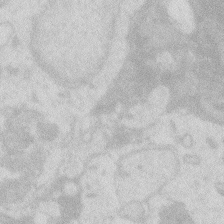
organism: Zebrafish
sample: Macrophage